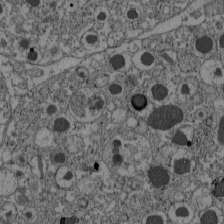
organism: C57BL Mouse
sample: Pancreatic islet